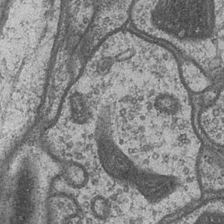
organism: Drosophila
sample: Optic medulla